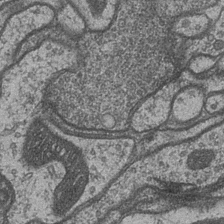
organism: Drosophila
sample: Optic medulla